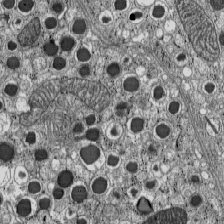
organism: C57BL Mouse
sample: Pancreatic islet